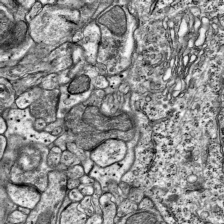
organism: Mouse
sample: Visual Cortex